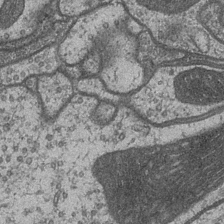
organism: Drosophila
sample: Optic medulla